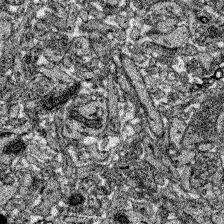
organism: Zebrafish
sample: Larval olfactory bulb